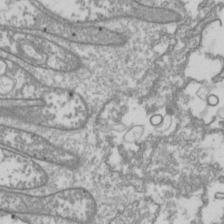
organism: Drosophila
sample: Cell division; meiosis; drosophila spermatocytes